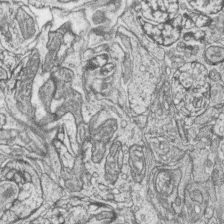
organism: Zebrafish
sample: synaptic ribbons in rod cells and cone cells